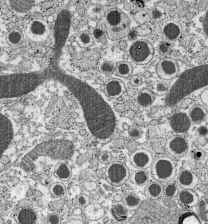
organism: C57BL Mouse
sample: Pancreatic islet